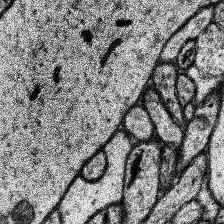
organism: Human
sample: Temporal Lobe